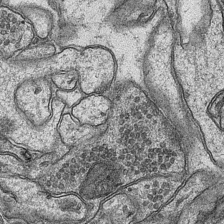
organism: Mouse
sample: CA1 Hippocampus